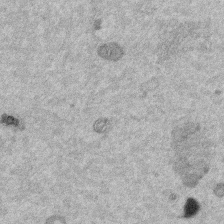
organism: Mouse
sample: Dividing mouse embryo 1 cell stage